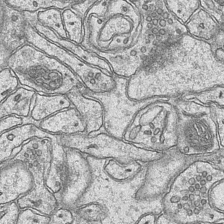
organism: Mouse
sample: CA1 Hippocampus